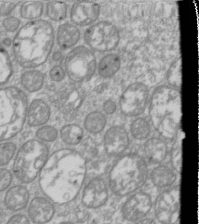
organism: Drosophila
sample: Cell division; meiosis; drosophila spermatocytes